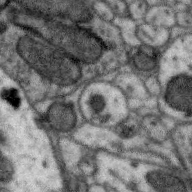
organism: Zebra finch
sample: Brain